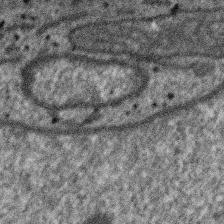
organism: Human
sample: Lung epithelial cells infected with SARS-CoV-2